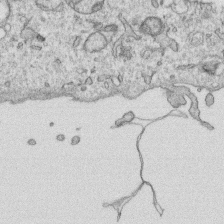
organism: Human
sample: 1205lu cells